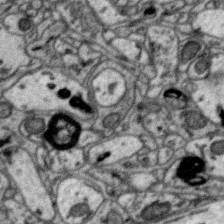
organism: Zebra finch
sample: Brain